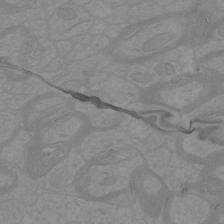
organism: Mouse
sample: Cortical neurons